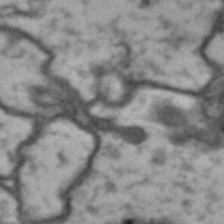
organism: Drosophila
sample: Brain